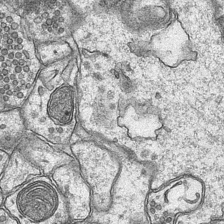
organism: Mouse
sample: CA1 Hippocampus